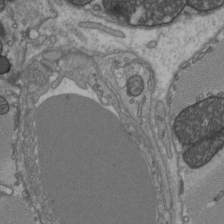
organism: C57BL Mouse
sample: Heart